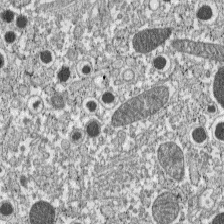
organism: C57BL Mouse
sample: Pancreatic islet